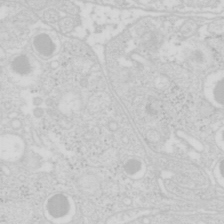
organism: Mouse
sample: Pancreas